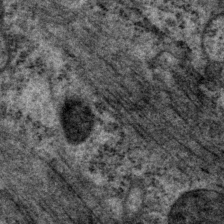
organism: P. pacificus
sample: Pharynx